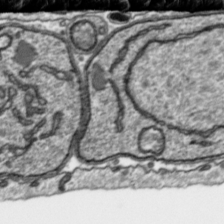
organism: Toxoplasma gondii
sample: Parasites in a vacuole inside a host cell